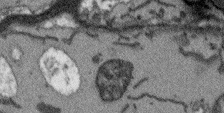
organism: Arabidopsis thaliana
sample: Root tip